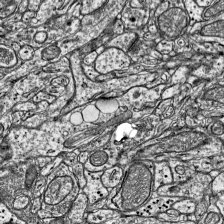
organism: Mouse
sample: Visual Cortex